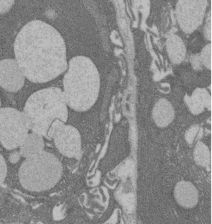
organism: Rat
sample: Salivary granule